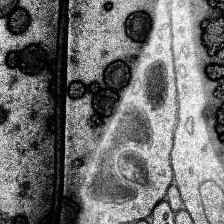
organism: Human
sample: Temporal Lobe